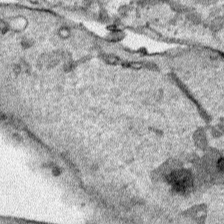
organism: Human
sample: Mitochondria in HCT116 cells